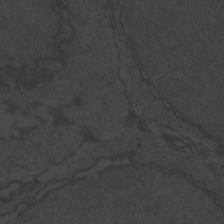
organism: Zebrafish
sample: Macrophage infected with Toxoplasma gondii